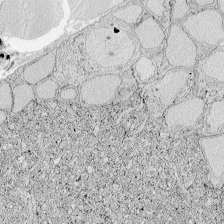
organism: Zebrafish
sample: Whole-Brain